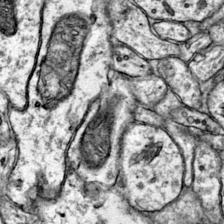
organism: Mouse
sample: Primary visual cortex